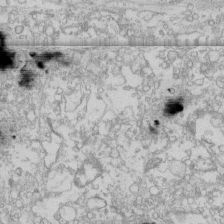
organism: Human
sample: CRL-1474